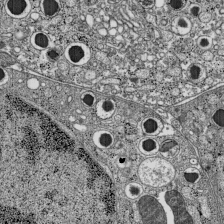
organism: C57BL Mouse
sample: Pancreatic islet